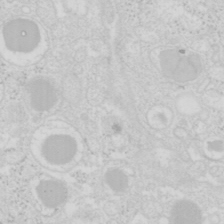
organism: Mouse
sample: Pancreas